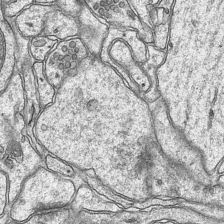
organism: Mouse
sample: CA1 Hippocampus